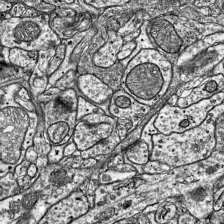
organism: Mouse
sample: Visual Cortex